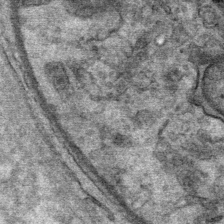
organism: Mouse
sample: Mouse Salivary gland